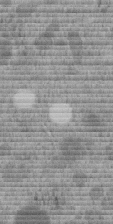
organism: C. elegans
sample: C. elegans embryo early stage